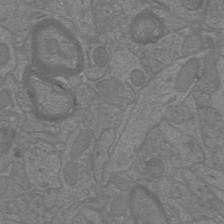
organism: Mouse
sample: Cortical neurons